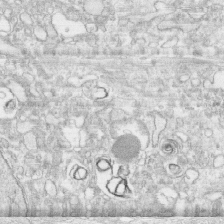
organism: Human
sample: CRL-1474